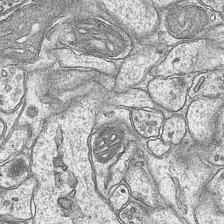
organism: Mouse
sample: CA1 Hippocampus